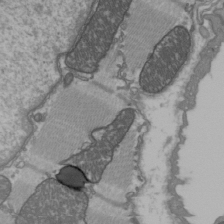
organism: C57BL Mouse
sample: Heart